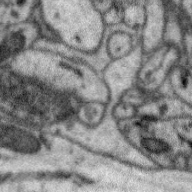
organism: Zebra finch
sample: Brain